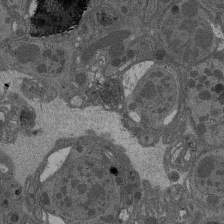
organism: Drosophila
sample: Antenna